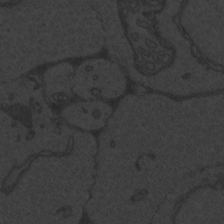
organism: Zebrafish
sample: Macrophage infected with Toxoplasma gondii